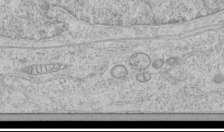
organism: Human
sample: Mitochondria in HCT116 cells